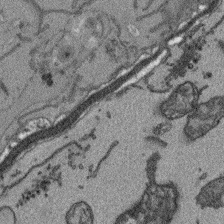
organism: Arabidopsis thaliana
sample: Root tip